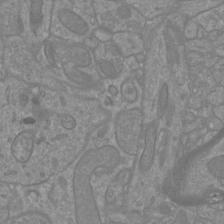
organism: Mouse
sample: Cortical neurons